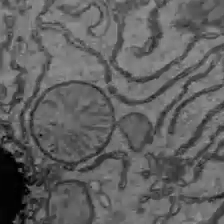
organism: C57BL Mouse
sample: Liver